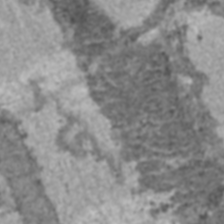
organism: C57BL Mouse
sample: Heart